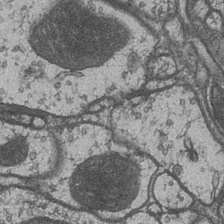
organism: Drosophila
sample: Optic medulla